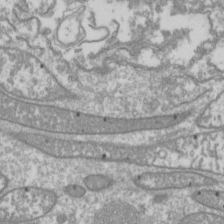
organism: Drosophila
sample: Cell division; meiosis; drosophila spermatocytes